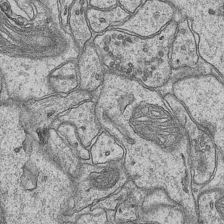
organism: Mouse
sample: CA1 Hippocampus